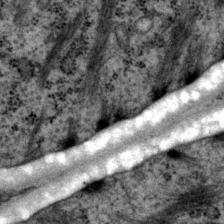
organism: P. pacificus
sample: Pharynx